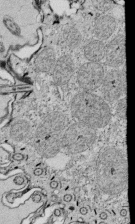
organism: Tetrahymena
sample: Cilia in tetrahymena